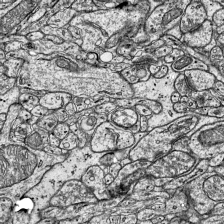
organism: Mouse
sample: Visual Cortex